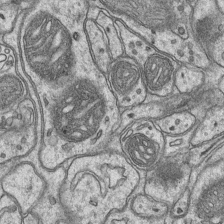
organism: Mouse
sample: CA1 Hippocampus